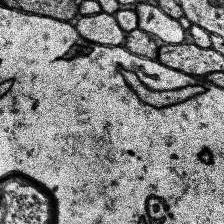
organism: Human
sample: Temporal Lobe